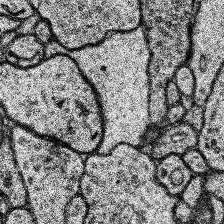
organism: Human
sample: Temporal Lobe